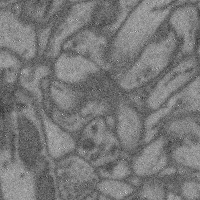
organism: Mouse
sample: Cerebral cortex